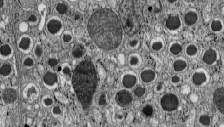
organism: C57BL Mouse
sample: Pancreatic islet